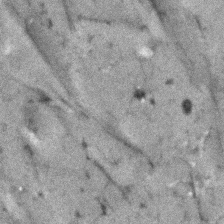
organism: Human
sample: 1205lu cells